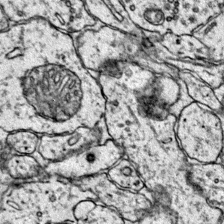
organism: Mouse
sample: Primary visual cortex